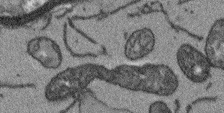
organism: Arabidopsis thaliana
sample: Root tip